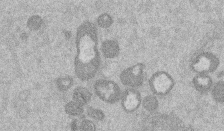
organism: Mouse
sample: Dividing mouse embryo 1 cell stage